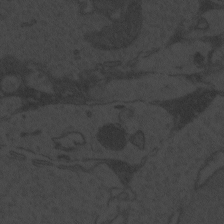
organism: Zebrafish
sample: Macrophage infected with Toxoplasma gondii